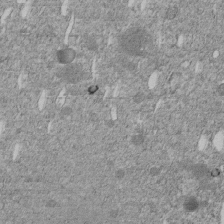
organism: C. elegans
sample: C. elegans embryo early stage